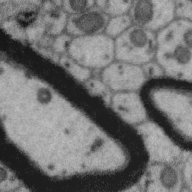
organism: Zebra finch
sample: Brain